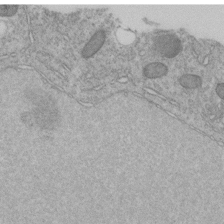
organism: C. elegans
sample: C. elegans embryo early stage